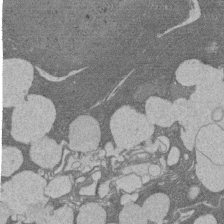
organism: Rat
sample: Salivary granule